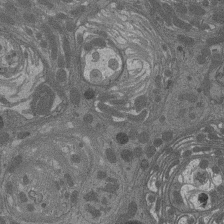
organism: Drosophila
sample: Antenna